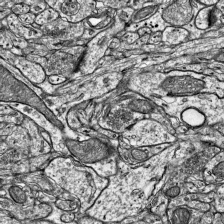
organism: Mouse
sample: Visual Cortex